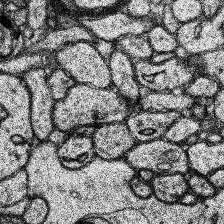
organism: Human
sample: Temporal Lobe